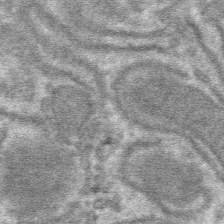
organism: Mouse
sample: Mouse hepatocytes